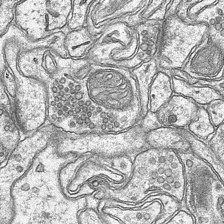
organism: Mouse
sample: CA1 Hippocampus